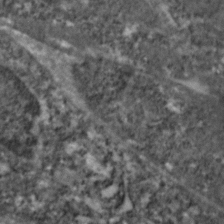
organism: Zebrafish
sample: Zebrafish embryo